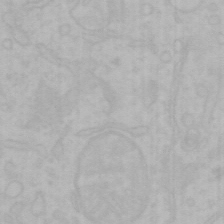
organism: Mouse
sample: Choroid plexus